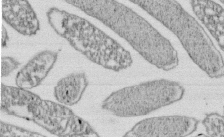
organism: E. coli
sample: Bacterial nucleoid